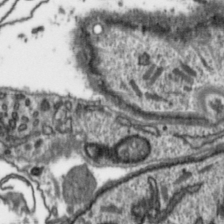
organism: Toxoplasma gondii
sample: Parasites in a vacuole inside a host cell